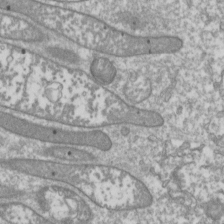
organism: Drosophila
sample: Cell division; meiosis; drosophila spermatocytes